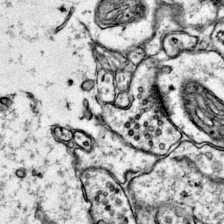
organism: Mouse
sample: Primary visual cortex